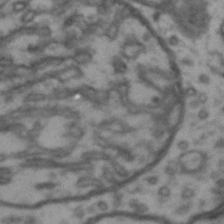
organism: Drosophila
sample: Brain